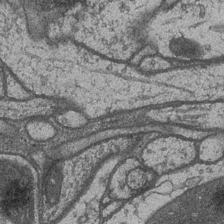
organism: Drosophila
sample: Optic medulla